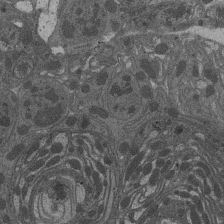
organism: Drosophila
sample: Antenna